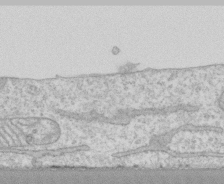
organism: Human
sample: CRL-1474